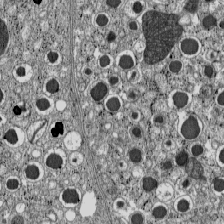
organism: C57BL Mouse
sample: Pancreatic islet